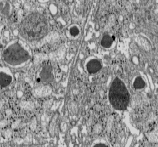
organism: C57BL Mouse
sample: Pancreatic islet